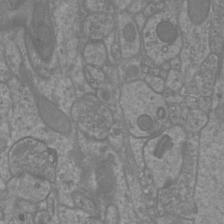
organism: Mouse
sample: Cortical neurons